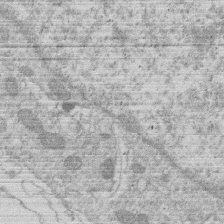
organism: Human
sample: Macrophage cells